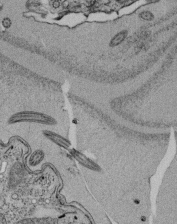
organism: Tetrahymena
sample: Cilia in tetrahymena